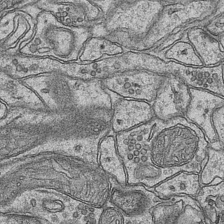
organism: Mouse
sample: CA1 Hippocampus